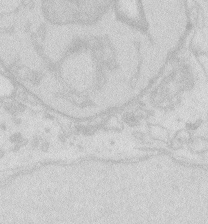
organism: Zebrafish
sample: Macrophage